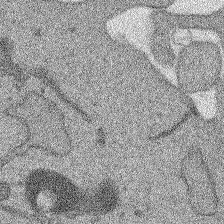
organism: Human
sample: HeLa cells